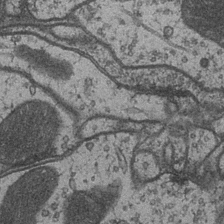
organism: Drosophila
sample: Optic medulla